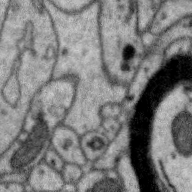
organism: Zebra finch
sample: Brain